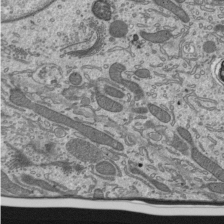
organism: Mouse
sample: Mouse epididymis efferent ductule cilia